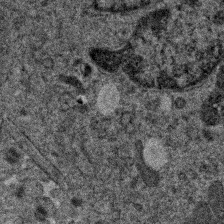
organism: Human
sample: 1205lu cells